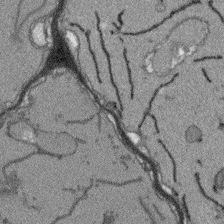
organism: Arabidopsis thaliana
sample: Root tip